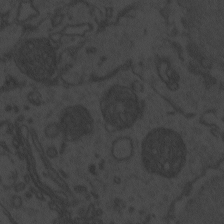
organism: Zebrafish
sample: Macrophage infected with Toxoplasma gondii